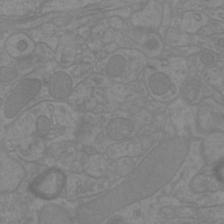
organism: Mouse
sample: Cortical neurons